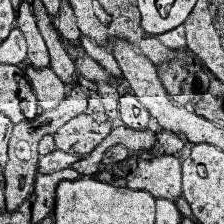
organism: Human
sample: Temporal Lobe